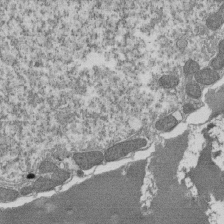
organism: Tetrahymena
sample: Cilia in tetrahymena